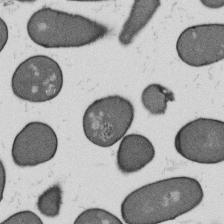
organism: B. subtilis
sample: Bacterial spore